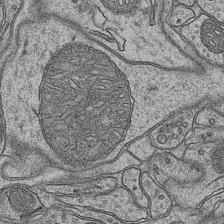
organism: Mouse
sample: CA1 Hippocampus